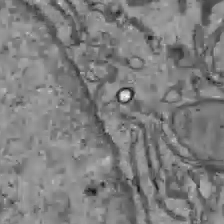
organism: C57BL Mouse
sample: Liver